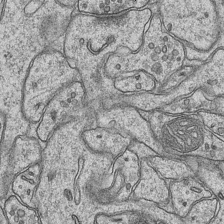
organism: Mouse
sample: CA1 Hippocampus